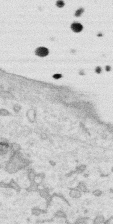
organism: Human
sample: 1205lu cells